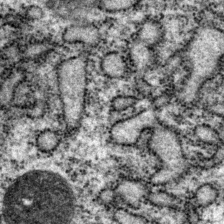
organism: P. pacificus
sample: Pharynx